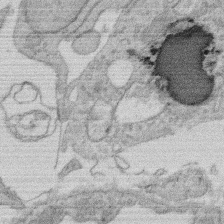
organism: Rat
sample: Salivary granule